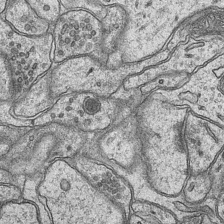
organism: Mouse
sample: CA1 Hippocampus